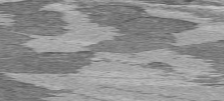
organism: C57BL Mouse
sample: Heart